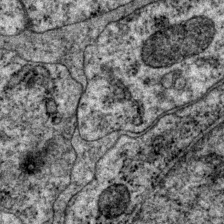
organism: P. pacificus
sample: Pharynx